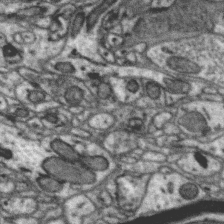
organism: Zebra finch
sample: Brain